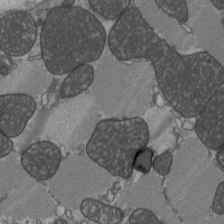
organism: C57BL Mouse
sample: Heart